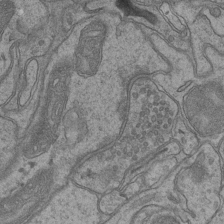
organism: Mouse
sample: CA1 Hippocampus